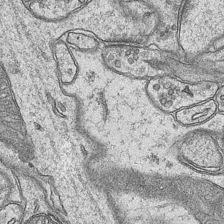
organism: Mouse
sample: CA1 Hippocampus